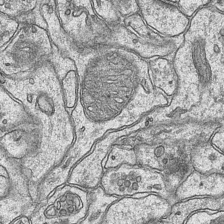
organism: Mouse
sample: CA1 Hippocampus